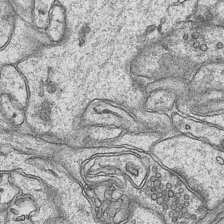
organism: Mouse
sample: CA1 Hippocampus